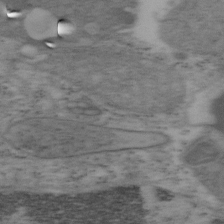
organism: Mouse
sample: OT-I killer T cells with ID8 ovarian cancer cells